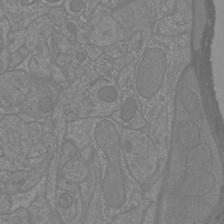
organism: Mouse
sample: Cortical neurons